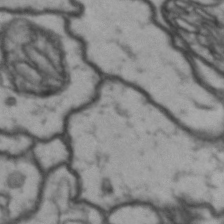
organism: Drosophila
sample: Brain